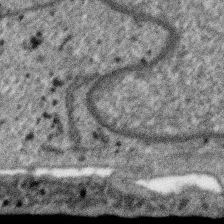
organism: Human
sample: Lung epithelial cells infected with SARS-CoV-2